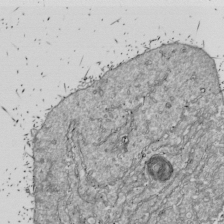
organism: Drosophila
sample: Cell division; meiosis; drosophila spermatocytes